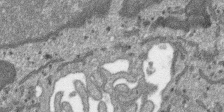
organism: Human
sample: Lung epithelial cells infected with SARS-CoV-2